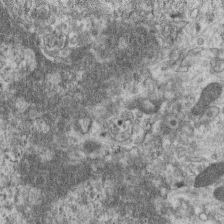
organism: Mouse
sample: Centriole in ependymal cells